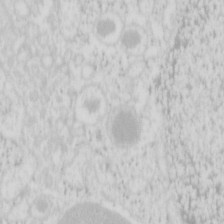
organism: Mouse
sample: Pancreas